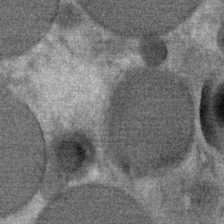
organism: Mouse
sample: Mouse Salivary gland